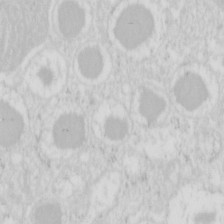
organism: Mouse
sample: Pancreas